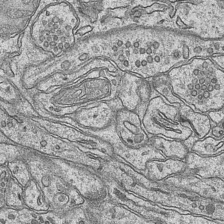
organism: Mouse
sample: CA1 Hippocampus